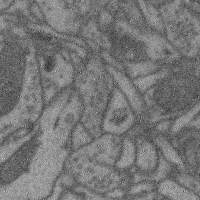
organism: Mouse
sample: Cerebral cortex